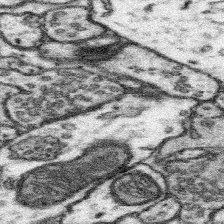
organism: Mouse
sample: Somatosensory cortex neuropil